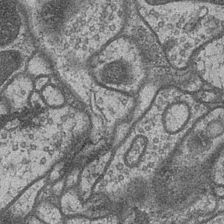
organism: Drosophila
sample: Optic medulla